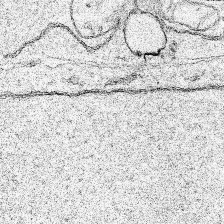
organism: Human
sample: Mitochondria in HCT116 cells